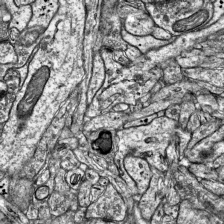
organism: Mouse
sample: Visual Cortex